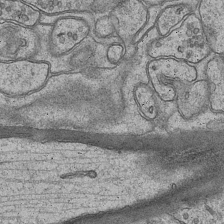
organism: Mouse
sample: CA1 Hippocampus